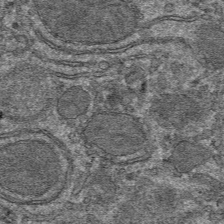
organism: Mouse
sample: Mouse hepatocytes